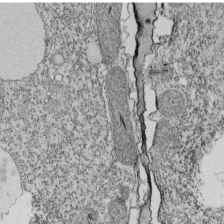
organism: Tetrahymena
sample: Cilia in tetrahymena